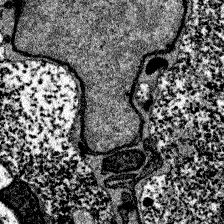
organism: Zebrafish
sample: Larval olfactory bulb